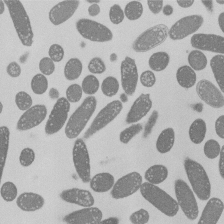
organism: E. coli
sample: Bacterial nucleoid